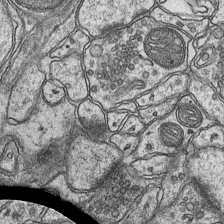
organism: Mouse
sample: CA1 Hippocampus